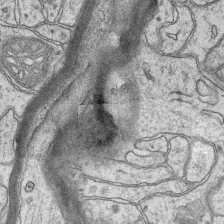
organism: Mouse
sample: CA1 Hippocampus